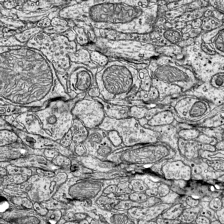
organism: Mouse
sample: Visual Cortex